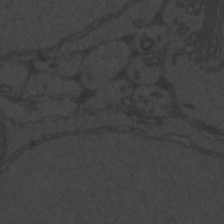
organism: Zebrafish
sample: Macrophage infected with Toxoplasma gondii